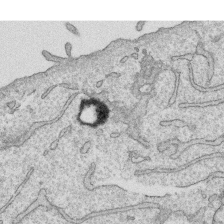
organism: Human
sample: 1205lu cells